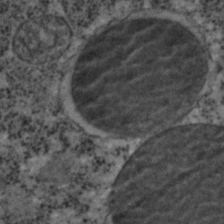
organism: C. elegans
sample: C. elegans embryo